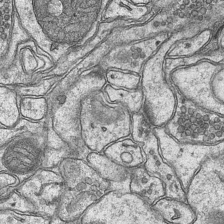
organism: Mouse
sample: CA1 Hippocampus